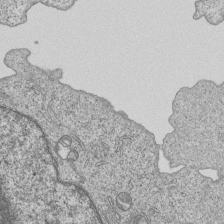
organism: Human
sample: MDA-MB-231 cells